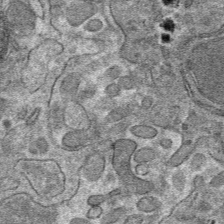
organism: Mouse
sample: Mouse hepatocytes